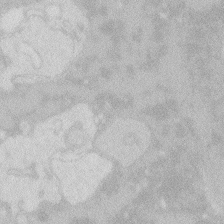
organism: Zebrafish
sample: Macrophage